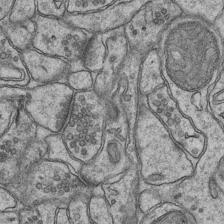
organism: Mouse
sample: CA1 Hippocampus